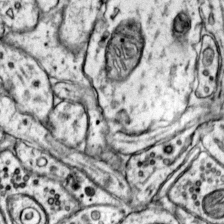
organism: Mouse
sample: Primary visual cortex